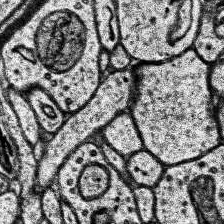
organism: Human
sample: Temporal Lobe